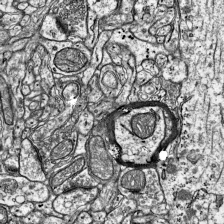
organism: Mouse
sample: Visual Cortex